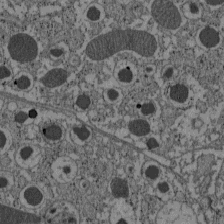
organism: C57BL Mouse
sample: Pancreatic islet